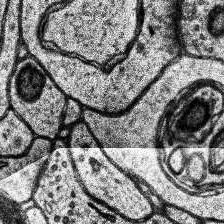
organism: Human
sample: Temporal Lobe